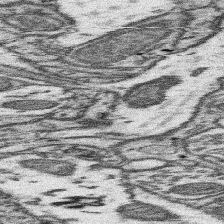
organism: Mouse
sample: Somatosensory cortex neuropil